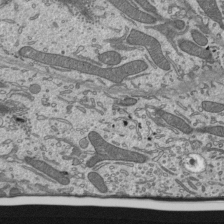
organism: Mouse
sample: Mouse epididymis efferent ductule cilia